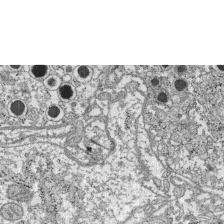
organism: C57BL Mouse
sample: Pancreatic islet